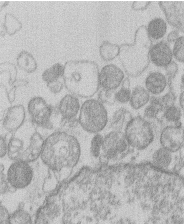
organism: Human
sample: Macrophage cells